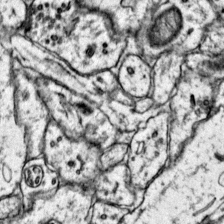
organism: Mouse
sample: Primary visual cortex